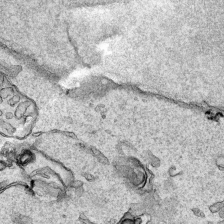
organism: Human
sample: Mitochondria in HCT116 cells